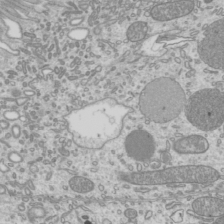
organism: Mouse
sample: Cilia; mouse epididymis